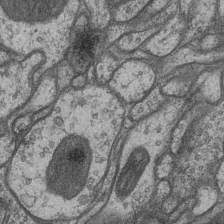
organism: Drosophila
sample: Optic medulla